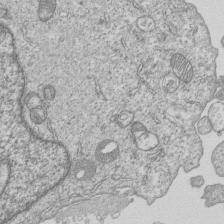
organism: Human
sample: MDA-MB-231 cells